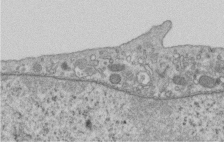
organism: Human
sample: Centriole in RPE cells